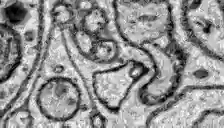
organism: Zebrafish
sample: Brain